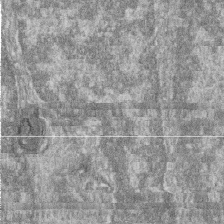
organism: Zebrafish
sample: Cilia; retinal pigment epithelium